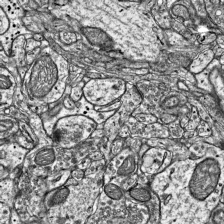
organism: Mouse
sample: Visual Cortex